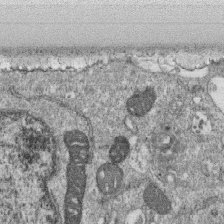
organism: African green monkey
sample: Vero E6 cells infected with SARS-CoV-2